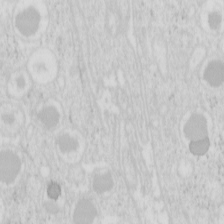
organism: Mouse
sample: Pancreas